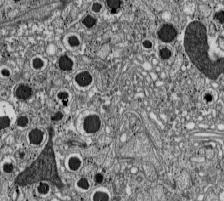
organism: C57BL Mouse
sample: Pancreatic islet